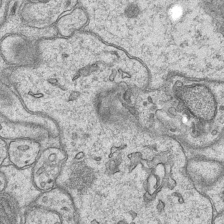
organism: Mouse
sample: CA1 Hippocampus